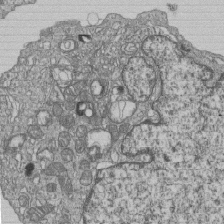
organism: Human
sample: MDA-MB-231 cells